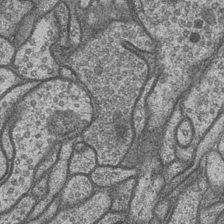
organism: Drosophila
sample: Optic medulla